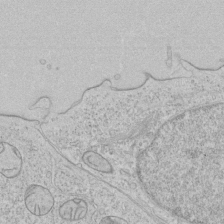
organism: Human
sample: Mitochondria in HCT116 cells